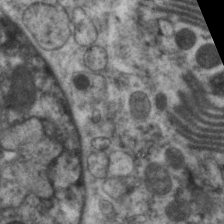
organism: C. elegans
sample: Pharynx